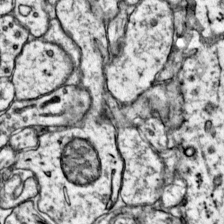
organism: Mouse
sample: Primary visual cortex